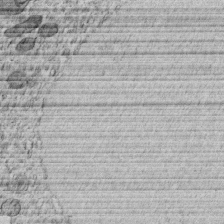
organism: C. elegans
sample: C. elegans embryo early stage